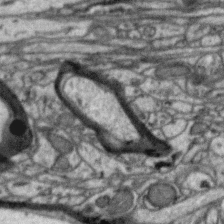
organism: Zebra finch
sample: Brain